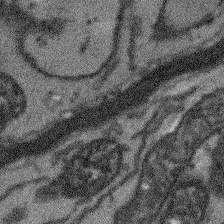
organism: Arabidopsis thaliana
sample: Root tip